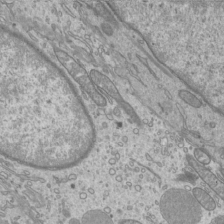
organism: Mouse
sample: Cilia; mouse epididymis